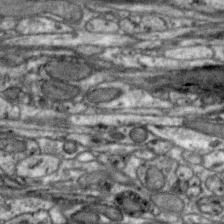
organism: Zebra finch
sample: Brain